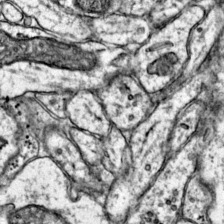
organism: Mouse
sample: Primary visual cortex